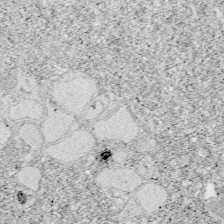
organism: Zebrafish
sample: Whole-Brain